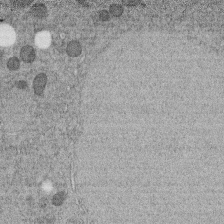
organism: C. elegans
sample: C. elegans embryo early stage